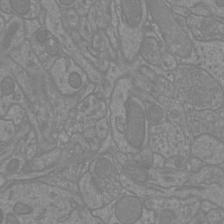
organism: Mouse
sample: Cortical neurons